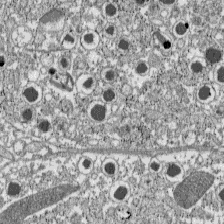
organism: C57BL Mouse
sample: Pancreatic islet